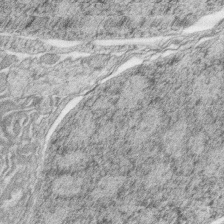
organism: Zebrafish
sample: synaptic ribbons in rod cells and cone cells